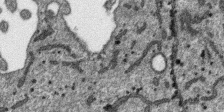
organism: Human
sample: Lung epithelial cells infected with SARS-CoV-2